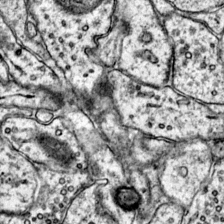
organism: Mouse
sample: Primary visual cortex